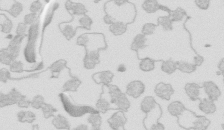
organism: Mouse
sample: Multiciliated cells